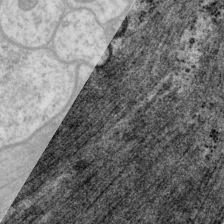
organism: P. pacificus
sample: Pharynx